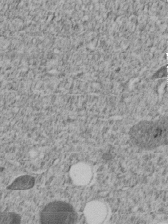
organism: C. elegans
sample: C. elegans embryo early stage